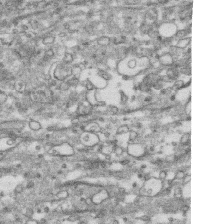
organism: Human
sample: CRL-1474